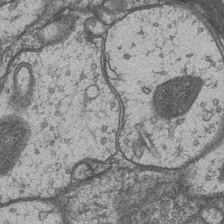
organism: Drosophila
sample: Optic medulla